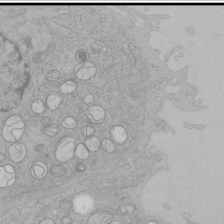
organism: Human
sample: Mitochondria in HCT116 cells